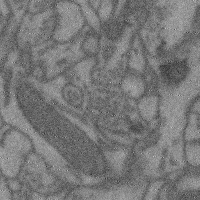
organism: Mouse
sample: Cerebral cortex